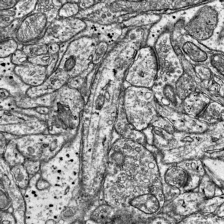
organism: Mouse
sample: Visual Cortex